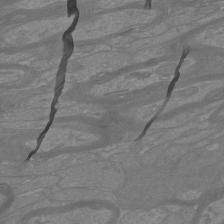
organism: Mouse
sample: Cortical neurons